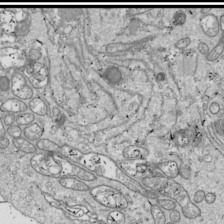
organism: Drosophila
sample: Cell division; meiosis; drosophila spermatocytes